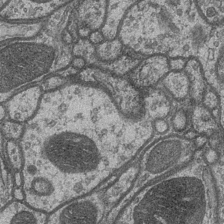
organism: Drosophila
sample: Optic medulla